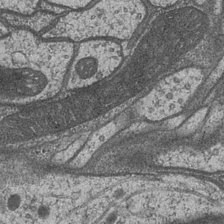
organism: Drosophila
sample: Optic medulla